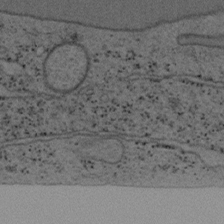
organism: Human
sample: HeLa cells